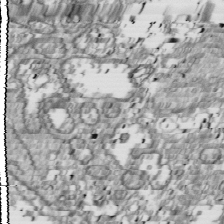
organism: Drosophila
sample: Cell division; meiosis; drosophila spermatocytes